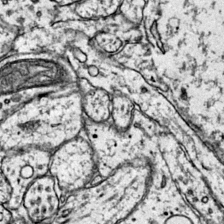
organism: Mouse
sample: Primary visual cortex